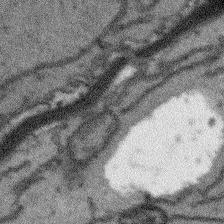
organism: Arabidopsis thaliana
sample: Root tip